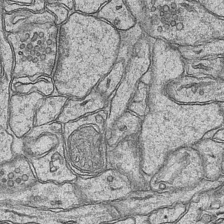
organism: Mouse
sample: CA1 Hippocampus